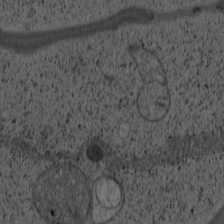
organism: African green monkey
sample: COS-7 cells